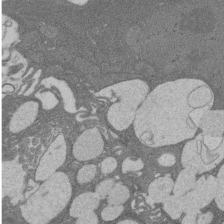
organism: Rat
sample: Salivary granule